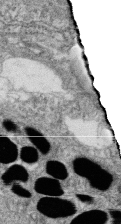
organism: Zebrafish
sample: Cilia; retinal pigment epithelium